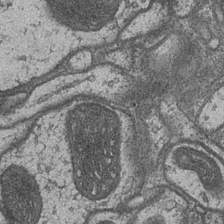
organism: Drosophila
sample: Optic medulla